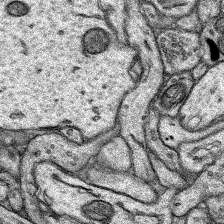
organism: Rat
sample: Hippocampus